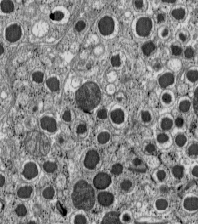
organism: C57BL Mouse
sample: Pancreatic islet